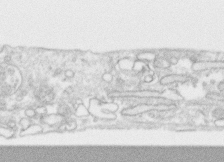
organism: Human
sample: CRL-1474